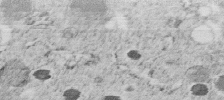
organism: C. elegans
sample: C. elegans embryo early stage